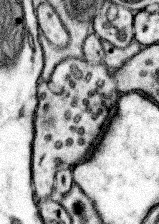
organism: Mouse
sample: Somatosensory cortex neuropil